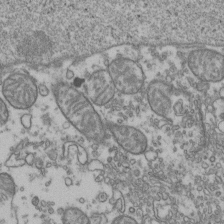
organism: Human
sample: Activated Jurkat CD4+ T cells